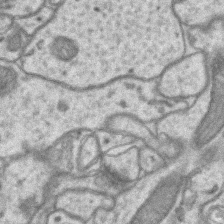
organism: Mouse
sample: CA1 Hippocampus